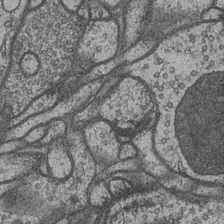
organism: Drosophila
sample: Optic medulla